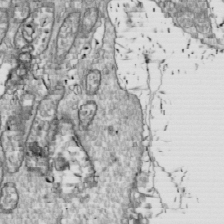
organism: Drosophila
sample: Cell division; meiosis; drosophila spermatocytes